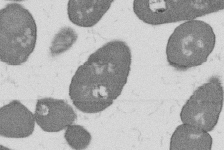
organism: B. subtilis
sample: Bacterial spore